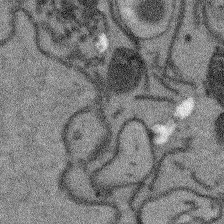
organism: Arabidopsis thaliana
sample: Root tip